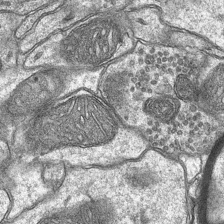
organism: Mouse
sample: CA1 Hippocampus